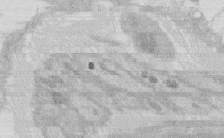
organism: Rat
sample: Salivary granule